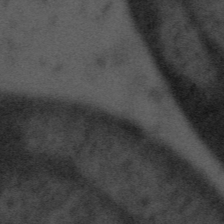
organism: Tuwongella immobilis